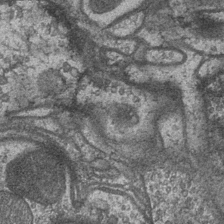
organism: Drosophila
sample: Optic medulla